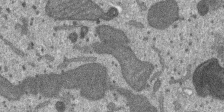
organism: Human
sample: Lung epithelial cells infected with SARS-CoV-2